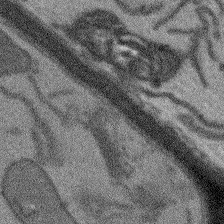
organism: Arabidopsis thaliana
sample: Root tip